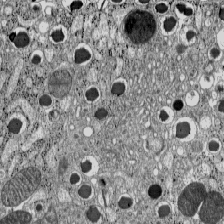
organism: C57BL Mouse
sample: Pancreatic islet